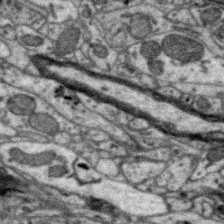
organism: Zebra finch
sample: Brain